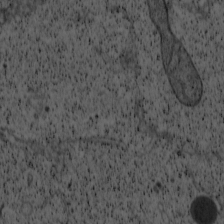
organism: African green monkey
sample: COS-7 cells